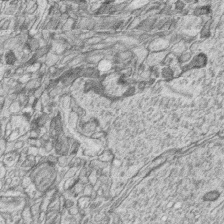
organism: Zebrafish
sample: synaptic ribbons in rod cells and cone cells